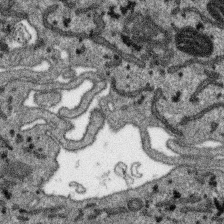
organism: Human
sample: Lung epithelial cells infected with SARS-CoV-2